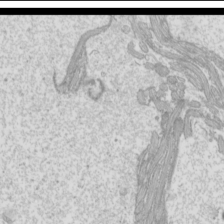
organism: Mouse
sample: Cilia; mouse epididymis